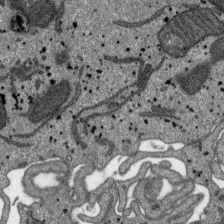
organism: Human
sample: Lung epithelial cells, uninfected (mock) control